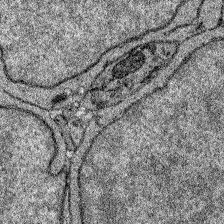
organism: Zebrafish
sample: Larval olfactory bulb